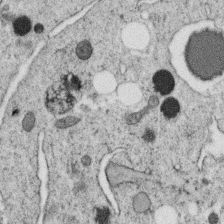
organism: C. elegans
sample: C. elegans oocyte; sperm cells